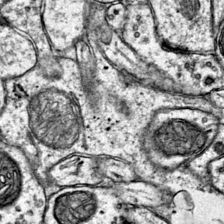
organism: Mouse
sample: Primary visual cortex